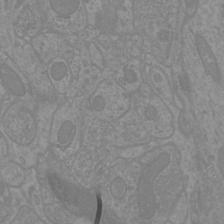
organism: Mouse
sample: Cortical neurons